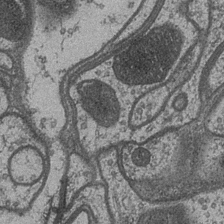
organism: Drosophila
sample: Optic medulla